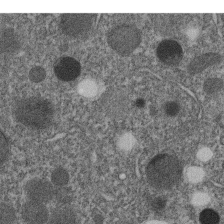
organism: C. elegans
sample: C. elegans embryo early stage